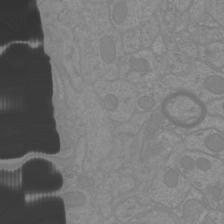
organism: Mouse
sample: Cortical neurons